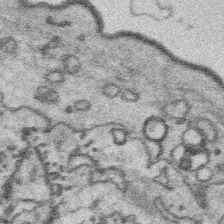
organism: Platynereis dumerilii